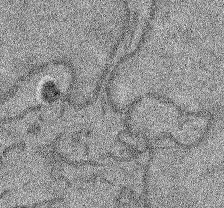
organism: Human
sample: HeLa cells